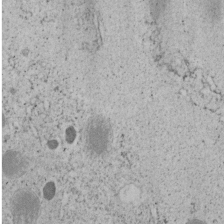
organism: C. elegans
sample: C. elegans embryo early stage